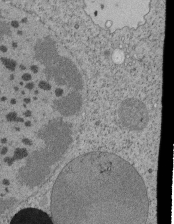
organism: Tetrahymena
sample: Cilia in tetrahymena